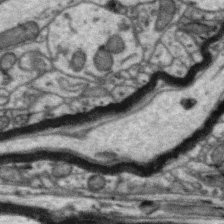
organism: Zebra finch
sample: Brain